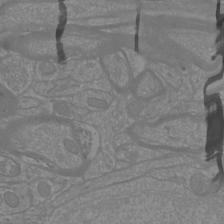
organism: Mouse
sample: Cortical neurons